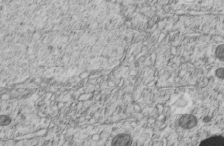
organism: C. elegans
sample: C. elegans embryo early stage